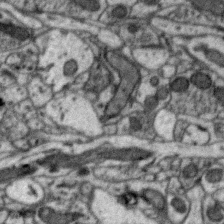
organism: Zebra finch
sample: Brain